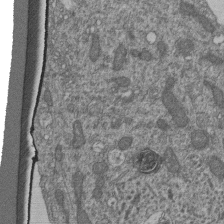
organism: Human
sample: Retinal organoid Rod and Cone cells